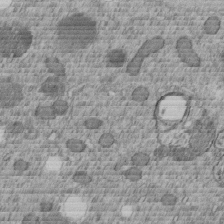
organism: C. elegans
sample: C. elegans embryo early stage